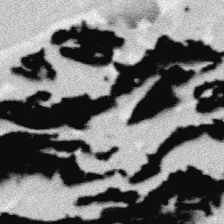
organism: Platynereis dumerilii